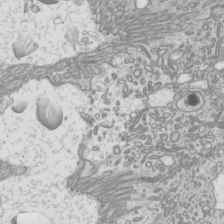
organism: Mouse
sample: Cilia; mouse epididymis